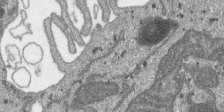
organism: Human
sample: Lung epithelial cells infected with SARS-CoV-2